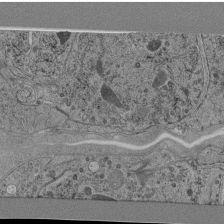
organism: C. elegans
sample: C. elegans pharynx